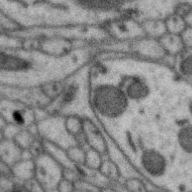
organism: Zebra finch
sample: Brain